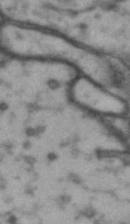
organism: Drosophila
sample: Brain